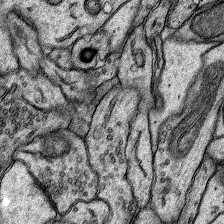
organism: Rat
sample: Hippocampus